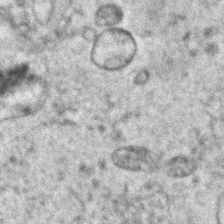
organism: Human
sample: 1205lu cells